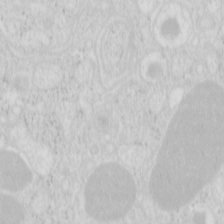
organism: Mouse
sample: Pancreas